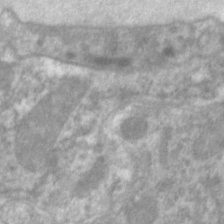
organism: C. elegans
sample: Pharynx